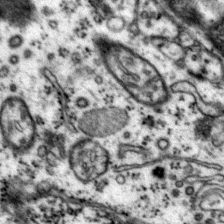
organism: Mouse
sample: Primary visual cortex